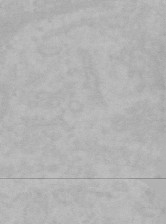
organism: Mouse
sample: Choroid plexus